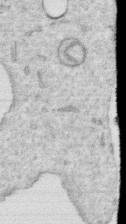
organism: Human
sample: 1205lu cells